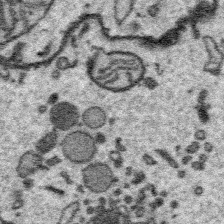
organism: Platynereis dumerilii